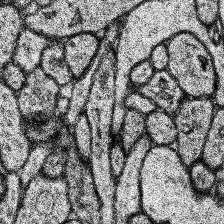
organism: Human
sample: Temporal Lobe